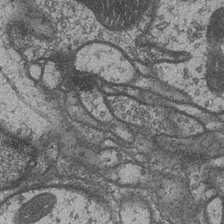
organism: Drosophila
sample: Optic medulla